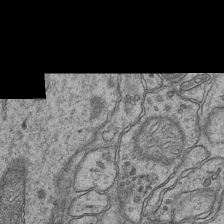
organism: Mouse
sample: CA1 Hippocampus